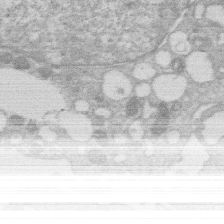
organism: Human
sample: Macrophage cells